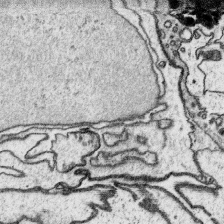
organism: Platynereis dumerilii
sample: Parapodia